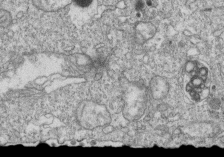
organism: Human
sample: HeLa cell HIV synapse